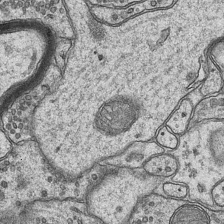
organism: Mouse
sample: CA1 Hippocampus